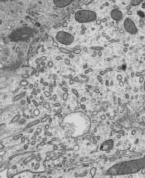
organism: Mouse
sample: Mouse epididymis efferent ductule cilia